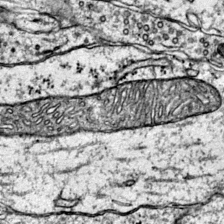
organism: Mouse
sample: Primary visual cortex